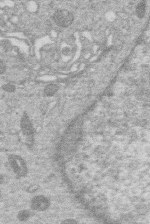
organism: Human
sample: Macrophage cells